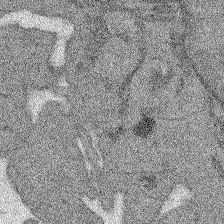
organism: Human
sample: HeLa cells